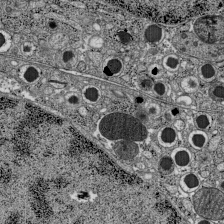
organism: C57BL Mouse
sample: Pancreatic islet